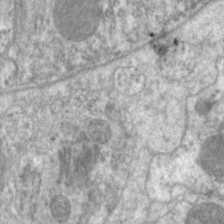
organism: C. elegans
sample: Pharynx